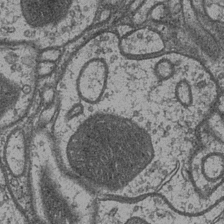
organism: Drosophila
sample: Optic medulla